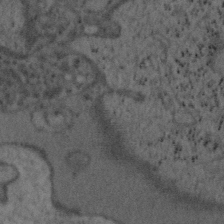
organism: Human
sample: HeLa cells